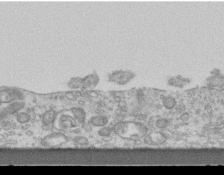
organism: Mouse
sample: Centriole in ependymal cells